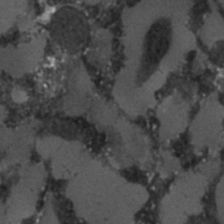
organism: C. elegans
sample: C. elegans embryo